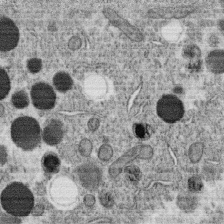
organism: C. elegans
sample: C. elegans oocyte; sperm cells